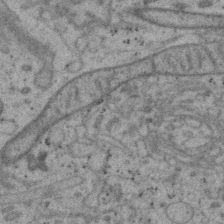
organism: Human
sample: HeLa cells